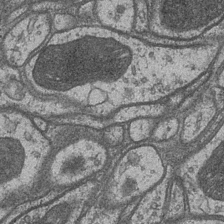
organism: Drosophila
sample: Optic medulla